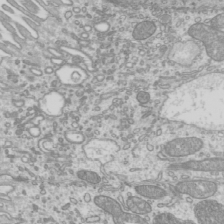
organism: Mouse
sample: Cilia; mouse epididymis